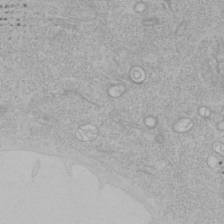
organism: Human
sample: Mitochondria in HCT116 cells